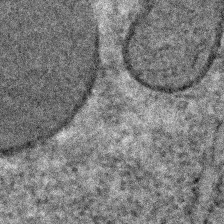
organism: C. elegans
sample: C. elegans embryo